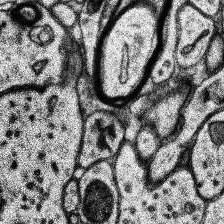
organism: Human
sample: Temporal Lobe